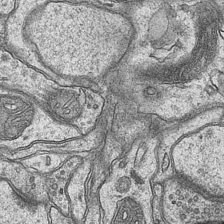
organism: Mouse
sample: CA1 Hippocampus